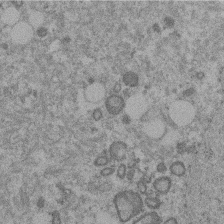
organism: Mouse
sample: Dividing mouse embryo 1 cell stage